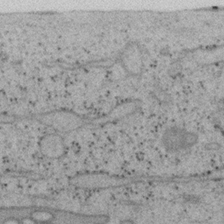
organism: Human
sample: HeLa cells